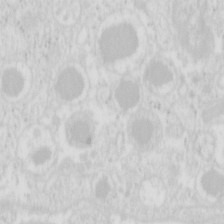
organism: Mouse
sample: Pancreas